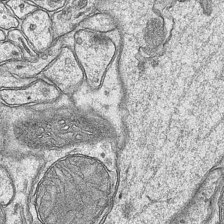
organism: Mouse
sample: CA1 Hippocampus